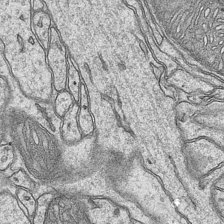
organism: Mouse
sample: CA1 Hippocampus